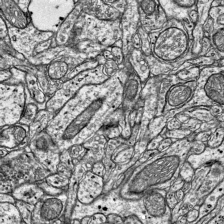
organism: Mouse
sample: Visual Cortex